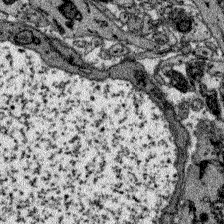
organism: Zebrafish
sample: Larval olfactory bulb